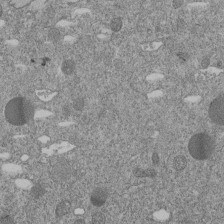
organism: C. elegans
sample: C. elegans embryo early stage